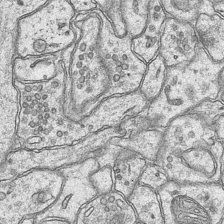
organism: Mouse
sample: CA1 Hippocampus